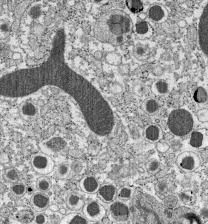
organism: C57BL Mouse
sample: Pancreatic islet